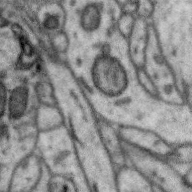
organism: Zebra finch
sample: Brain